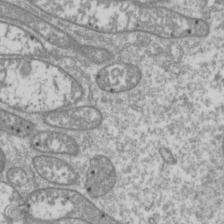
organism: Drosophila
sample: Cell division; meiosis; drosophila spermatocytes